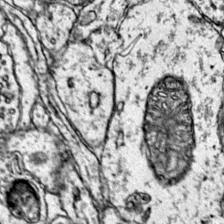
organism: Mouse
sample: Primary visual cortex